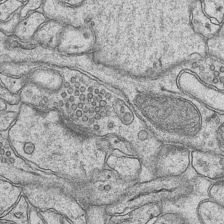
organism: Mouse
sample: CA1 Hippocampus